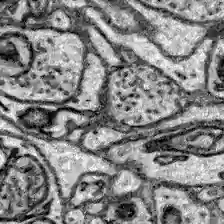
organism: Zebrafish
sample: Brain